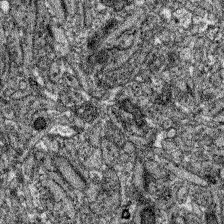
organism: Zebrafish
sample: Larval olfactory bulb